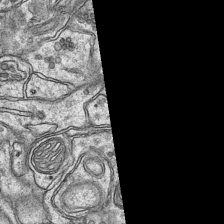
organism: Mouse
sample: CA1 Hippocampus